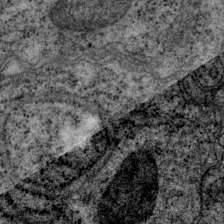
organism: P. pacificus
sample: Pharynx